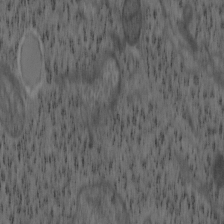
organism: Human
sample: HeLa cells